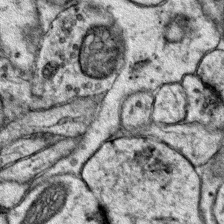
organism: Mouse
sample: Primary visual cortex